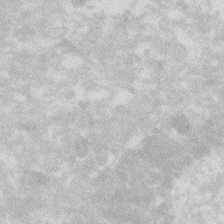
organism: Zebrafish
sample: Macrophage